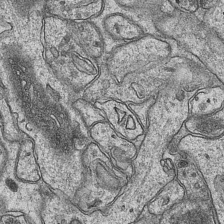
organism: Mouse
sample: CA1 Hippocampus